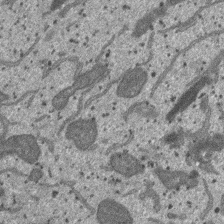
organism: Human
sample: Lung epithelial cells infected with SARS-CoV-2